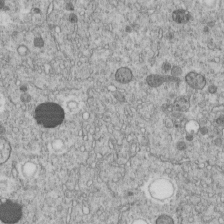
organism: C. elegans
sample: C. elegans embryo early stage